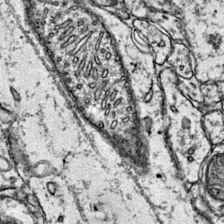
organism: Mouse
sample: Primary visual cortex